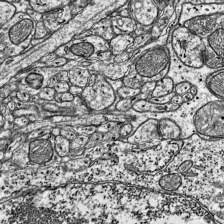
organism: Mouse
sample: Visual Cortex